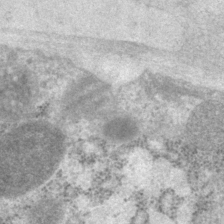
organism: P. pacificus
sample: Pharynx